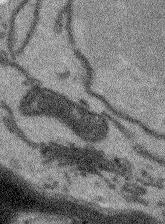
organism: Arabidopsis thaliana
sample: Root tip